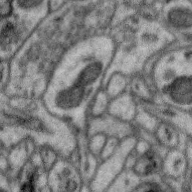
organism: Zebra finch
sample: Brain